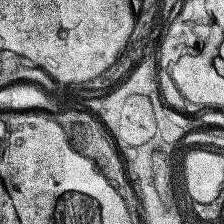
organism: Human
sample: Temporal Lobe